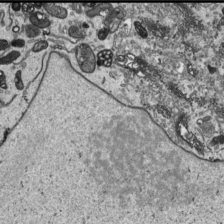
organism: Human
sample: Mitochondria in HCT116 cells